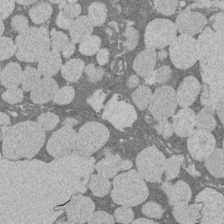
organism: Rat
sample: Salivary granule